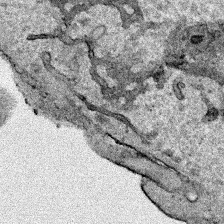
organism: Human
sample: Mitochondria in HCT116 cells